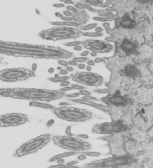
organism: Mouse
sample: Mouse epididymis efferent ductule cilia